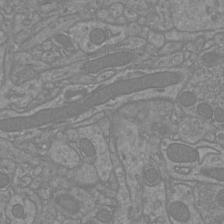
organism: Mouse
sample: Cortical neurons